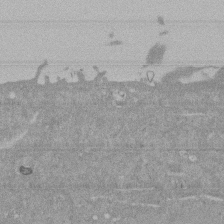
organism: Mouse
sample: ED-1 cell nuclei; centrioles